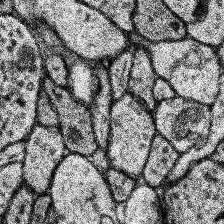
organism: Human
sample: Temporal Lobe